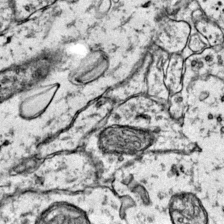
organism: Mouse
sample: Primary visual cortex